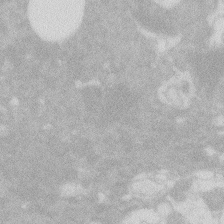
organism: Zebrafish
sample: Macrophage